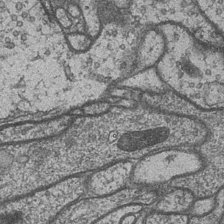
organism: Drosophila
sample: Optic medulla